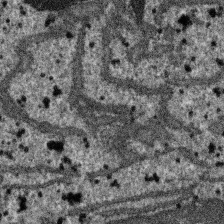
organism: Human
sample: Lung epithelial cells infected with SARS-CoV-2